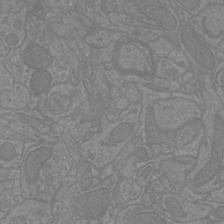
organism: Mouse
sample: Cortical neurons